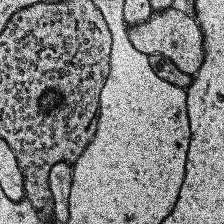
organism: Human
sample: Temporal Lobe